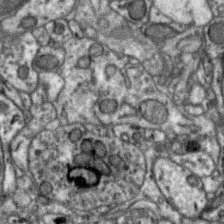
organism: Zebra finch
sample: Brain